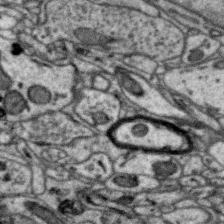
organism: Zebra finch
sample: Brain